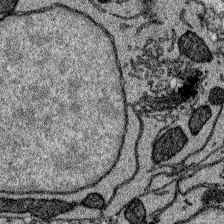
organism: Zebrafish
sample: Larval olfactory bulb